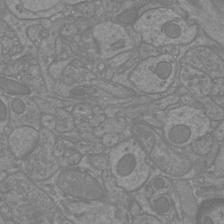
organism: Mouse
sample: Cortical neurons